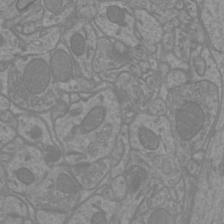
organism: Mouse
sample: Cortical neurons